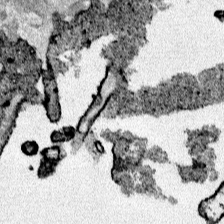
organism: Human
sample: Mitochondria in HCT116 cells